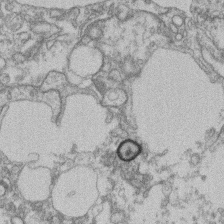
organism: Mouse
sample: T cell stromal cell synapse